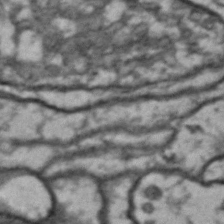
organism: Drosophila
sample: Brain